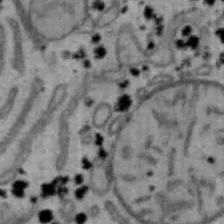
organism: Mouse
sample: Liver